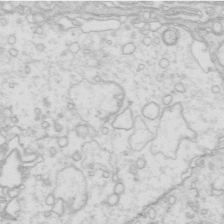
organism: Mouse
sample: Multiciliated cells